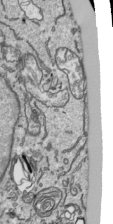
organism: Human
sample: Mitochondria in HCT116 cells